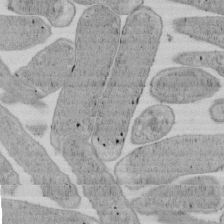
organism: E. coli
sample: Bacterial nucleoid